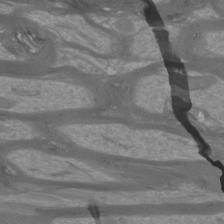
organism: Mouse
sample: Cortical neurons